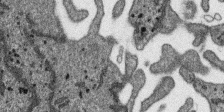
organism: Human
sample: Lung epithelial cells infected with SARS-CoV-2